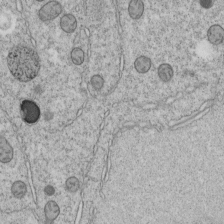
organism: C. elegans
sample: C. elegans embryo early stage